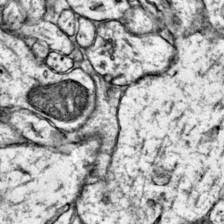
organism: Mouse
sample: Primary visual cortex